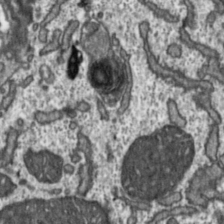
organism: Toxoplasma gondii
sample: Parasites in a vacuole inside a host cell